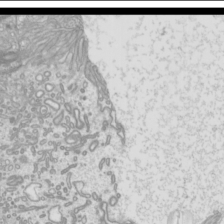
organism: Mouse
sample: Cilia; mouse epididymis